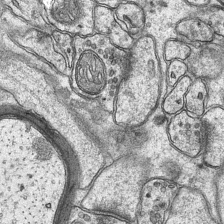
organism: Mouse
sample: CA1 Hippocampus